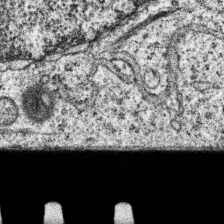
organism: Human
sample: HeLa cells